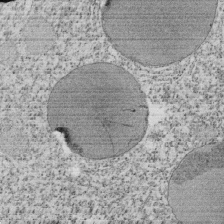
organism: Tetrahymena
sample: Cilia in tetrahymena